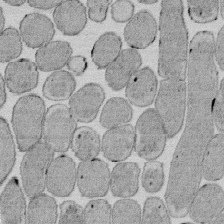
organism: E. coli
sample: Bacterial nucleoid